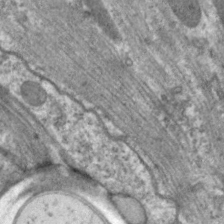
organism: C. elegans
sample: Pharynx